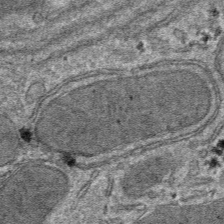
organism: Mouse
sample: Mouse hepatocytes